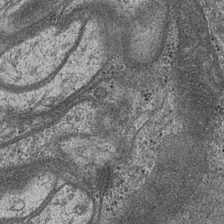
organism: Drosophila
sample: Optic medulla